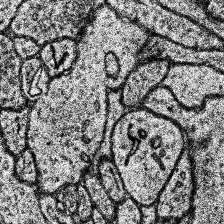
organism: Human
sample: Temporal Lobe